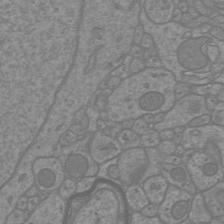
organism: Mouse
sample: Cortical neurons